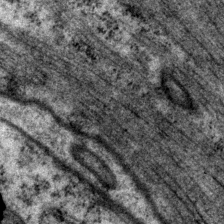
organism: P. pacificus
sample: Pharynx